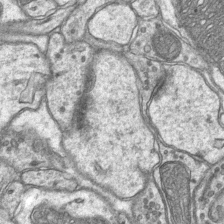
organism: Mouse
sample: CA1 Hippocampus